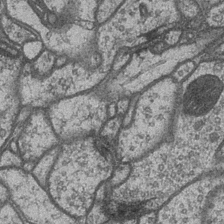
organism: Drosophila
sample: Optic medulla